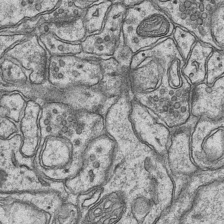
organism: Mouse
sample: CA1 Hippocampus